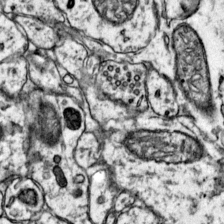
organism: Mouse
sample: Primary visual cortex